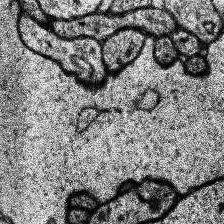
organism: Human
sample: Temporal Lobe